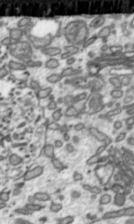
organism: Toxoplasma gondii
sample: Parasites in a vacuole inside a host cell